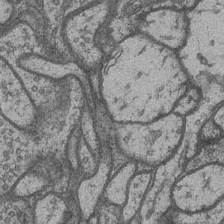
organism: Drosophila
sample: Optic medulla